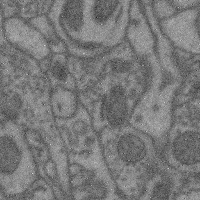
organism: Mouse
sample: Cerebral cortex